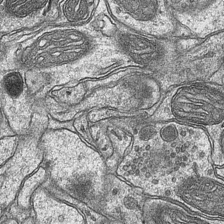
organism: Mouse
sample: CA1 Hippocampus